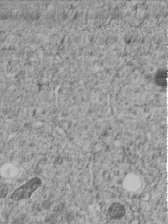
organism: C. elegans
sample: C. elegans embryo early stage